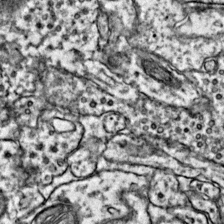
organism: Mouse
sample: Primary visual cortex